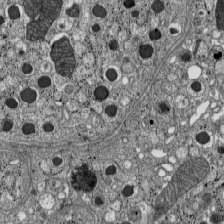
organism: C57BL Mouse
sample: Pancreatic islet